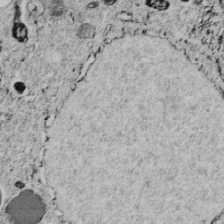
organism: C. elegans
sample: C. elegans embryo early stage